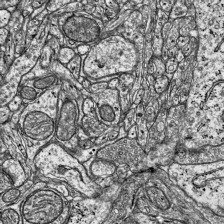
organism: Mouse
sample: Visual Cortex